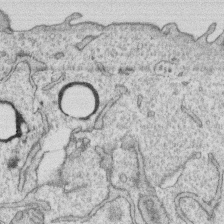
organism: Human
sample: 1205lu cells